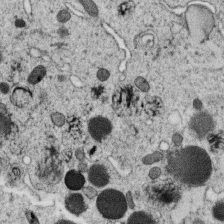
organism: C. elegans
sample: C. elegans oocyte; sperm cells